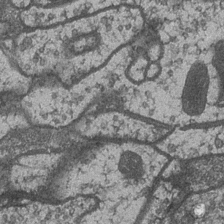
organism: Drosophila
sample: Optic medulla